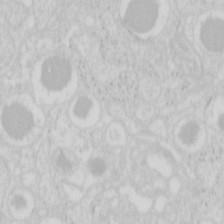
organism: Mouse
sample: Pancreas